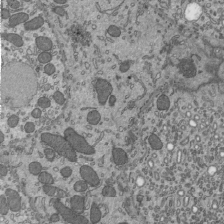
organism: Mouse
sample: Mouse epididymis efferent ductule cilia